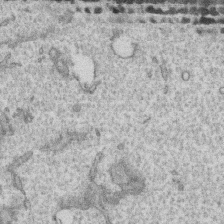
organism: Human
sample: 1205lu cells